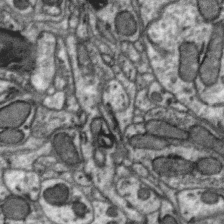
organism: Zebra finch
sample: Brain